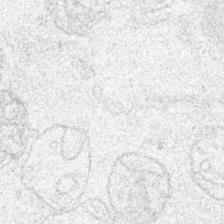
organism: Human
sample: Mitochondria in HCT116 cells